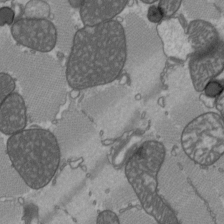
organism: C57BL Mouse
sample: Heart